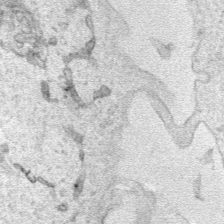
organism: Human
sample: Mitochondria in HCT116 cells